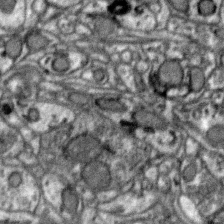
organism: Zebra finch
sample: Brain